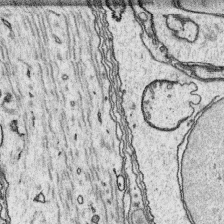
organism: Platynereis dumerilii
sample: Parapodia